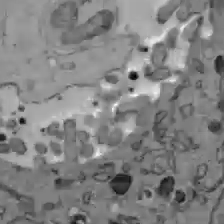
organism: C57BL Mouse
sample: Liver